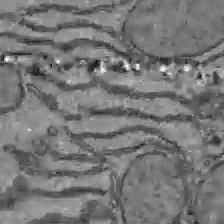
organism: C57BL Mouse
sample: Liver